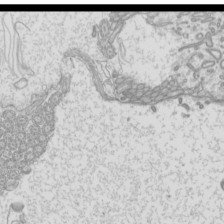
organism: Mouse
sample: Cilia; mouse epididymis